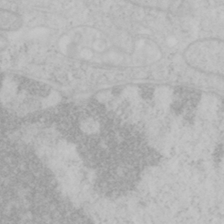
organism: Mouse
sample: OT-I killer T cells with ID8 ovarian cancer cells